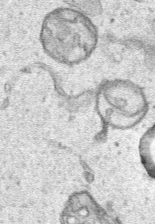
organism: Human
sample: Mitochondria in HCT116 cells